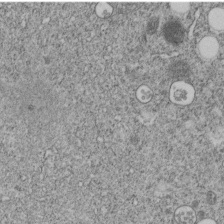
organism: C. elegans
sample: C. elegans embryo early stage